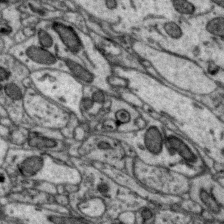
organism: Zebra finch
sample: Brain